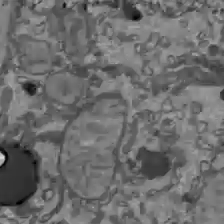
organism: C57BL Mouse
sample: Liver